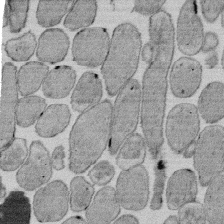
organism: E. coli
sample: Bacterial nucleoid